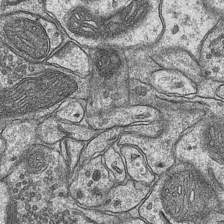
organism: Mouse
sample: CA1 Hippocampus